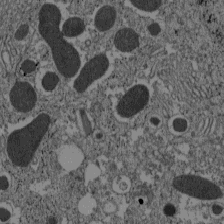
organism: C57BL Mouse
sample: Pancreatic islet